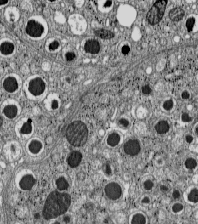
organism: C57BL Mouse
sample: Pancreatic islet